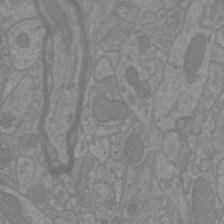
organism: Mouse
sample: Cortical neurons